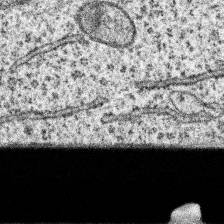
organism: Human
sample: HeLa cells